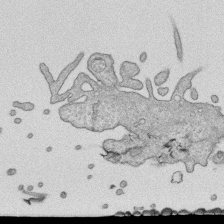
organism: Human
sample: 1205lu cells